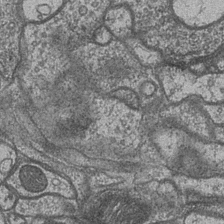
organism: Drosophila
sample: Optic medulla